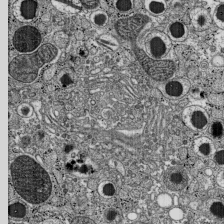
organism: C57BL Mouse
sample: Pancreatic islet